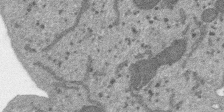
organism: Human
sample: Lung epithelial cells infected with SARS-CoV-2